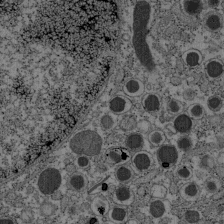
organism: C57BL Mouse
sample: Pancreatic islet